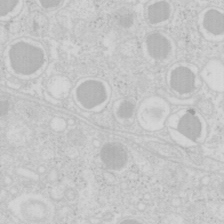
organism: Mouse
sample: Pancreas